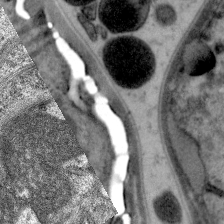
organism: C. elegans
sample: Pharynx